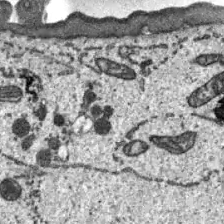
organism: Human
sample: HeLa cells